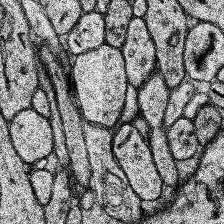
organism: Human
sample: Temporal Lobe